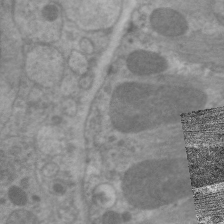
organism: C. elegans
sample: Pharynx